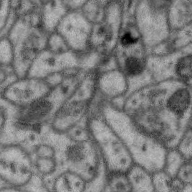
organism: Zebra finch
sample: Brain